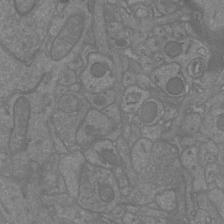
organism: Mouse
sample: Cortical neurons